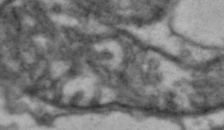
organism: Drosophila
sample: Brain